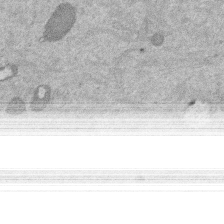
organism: Mouse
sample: Dividing mouse embryo 1 cell stage